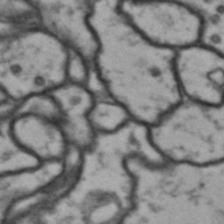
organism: Drosophila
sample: Brain